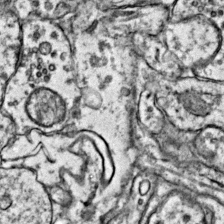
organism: Mouse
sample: Primary visual cortex